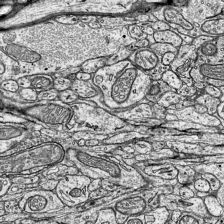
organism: Mouse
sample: Visual Cortex